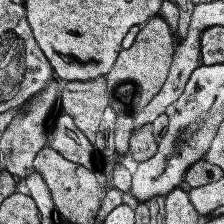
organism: Human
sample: Temporal Lobe